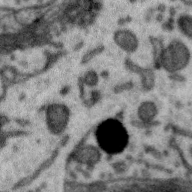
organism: Zebra finch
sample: Brain